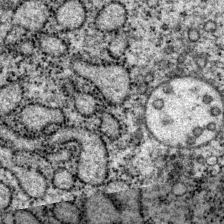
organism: P. pacificus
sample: Pharynx